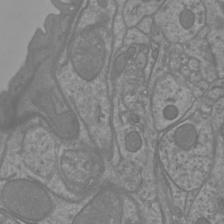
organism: Mouse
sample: Cortical neurons